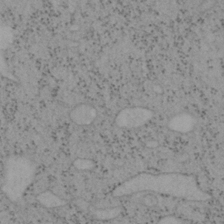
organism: Mouse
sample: OT-I killer T cells with ID8 ovarian cancer cells